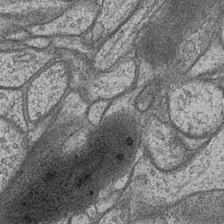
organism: Drosophila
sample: Optic medulla